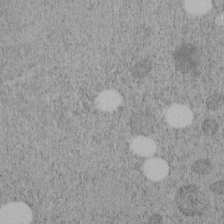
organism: C. elegans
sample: C. elegans embryo early stage